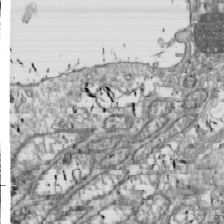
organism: Drosophila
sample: Cell division; meiosis; drosophila spermatocytes